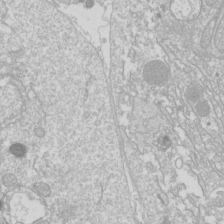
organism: Drosophila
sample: Cell division; meiosis; drosophila spermatocytes